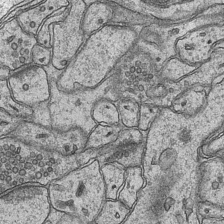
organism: Mouse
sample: CA1 Hippocampus